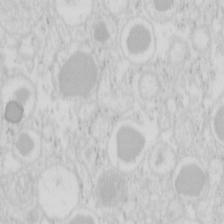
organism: Mouse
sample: Pancreas